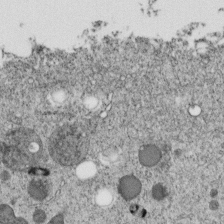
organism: C. elegans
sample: C. elegans embryo early stage